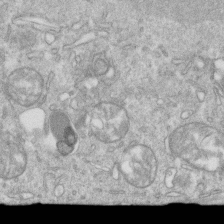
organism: Mouse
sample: Activated OT-1 CD8+ T cells